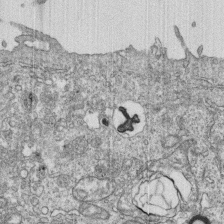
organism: Human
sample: HeLa cell HIV synapse